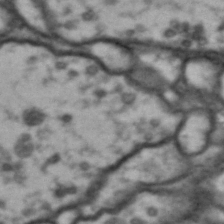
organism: Drosophila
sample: Brain